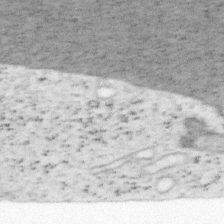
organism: Mouse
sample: OT-I killer T cells with ID8 ovarian cancer cells